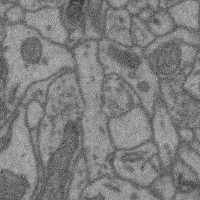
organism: Mouse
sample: Cerebral cortex